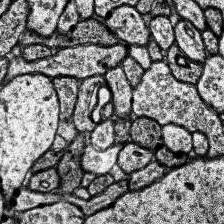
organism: Human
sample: Temporal Lobe